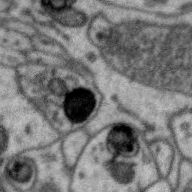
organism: Zebra finch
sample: Brain